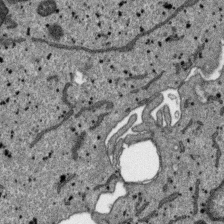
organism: Human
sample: Lung epithelial cells, uninfected (mock) control